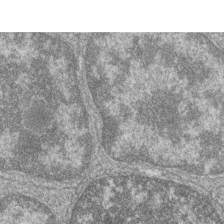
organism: Zebrafish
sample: Cilia; retinal pigment epithelium